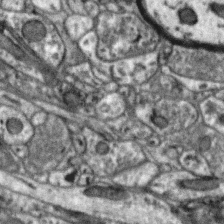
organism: Zebra finch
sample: Brain